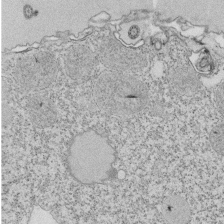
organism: Tetrahymena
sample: Cilia in tetrahymena